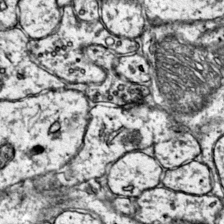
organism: Mouse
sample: Primary visual cortex